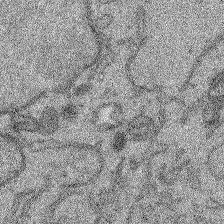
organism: Human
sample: HeLa cells